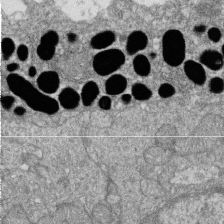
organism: Zebrafish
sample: Cilia; retinal pigment epithelium